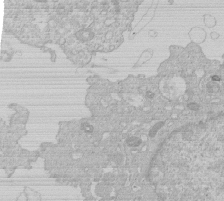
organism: Human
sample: Macrophage cells